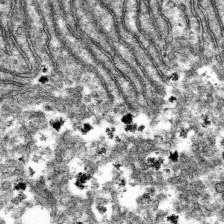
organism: Mouse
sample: Mouse hepatocytes